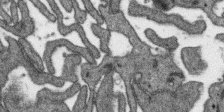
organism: Human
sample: Lung epithelial cells, uninfected (mock) control